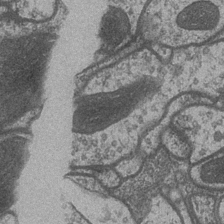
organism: Drosophila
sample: Optic medulla